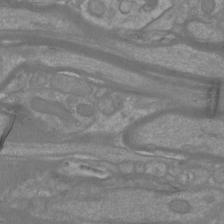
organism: Mouse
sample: Cortical neurons